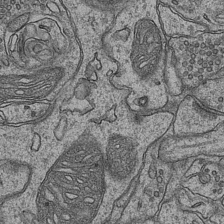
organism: Mouse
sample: CA1 Hippocampus